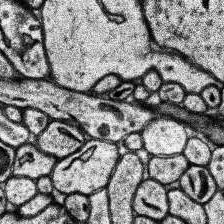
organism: Human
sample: Temporal Lobe